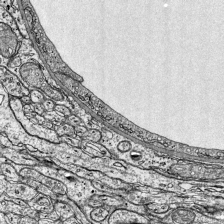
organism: Mouse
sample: Visual Cortex